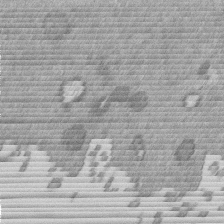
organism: Mouse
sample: Dividing mouse embryo 1 cell stage